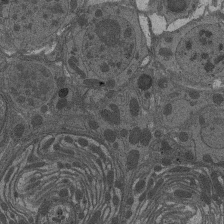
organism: Drosophila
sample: Antenna